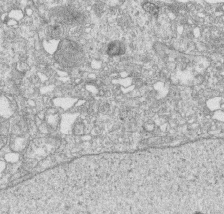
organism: Human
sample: HeLa cell HIV synapse